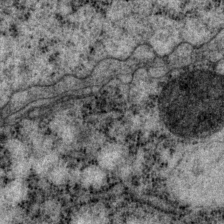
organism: P. pacificus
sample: Pharynx